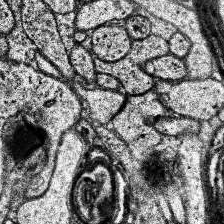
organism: Human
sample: Temporal Lobe